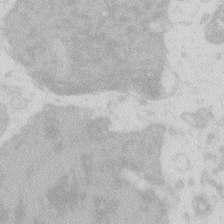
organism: Zebrafish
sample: Macrophage